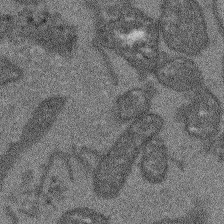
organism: Arabidopsis thaliana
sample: Root tip